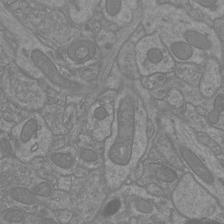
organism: Mouse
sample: Cortical neurons